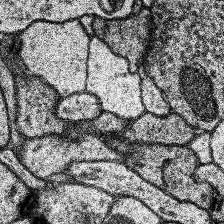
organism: Human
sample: Temporal Lobe